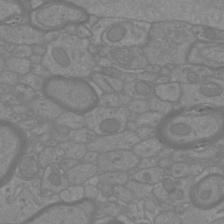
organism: Mouse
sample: Cortical neurons